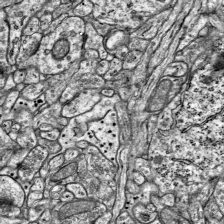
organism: Mouse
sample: Visual Cortex